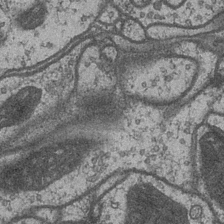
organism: Drosophila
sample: Optic medulla